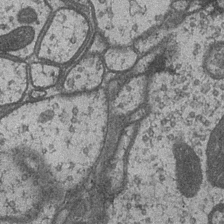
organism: Drosophila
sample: Optic medulla